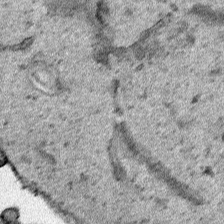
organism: Human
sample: Mitochondria in HCT116 cells